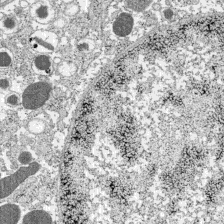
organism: C57BL Mouse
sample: Pancreatic islet